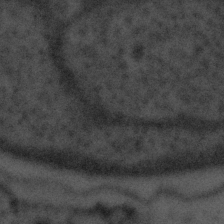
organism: Tuwongella immobilis